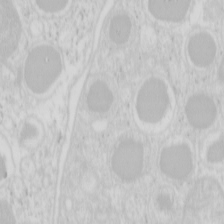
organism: Mouse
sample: Pancreas